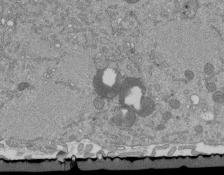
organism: Mouse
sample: ED-1 cell nuclei; centrioles